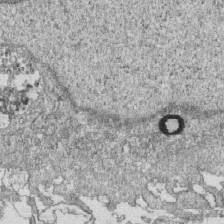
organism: Human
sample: HeLa cell HIV synapse